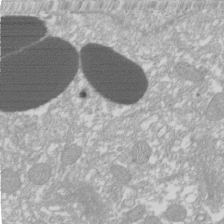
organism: Xenopus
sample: Cilia; centrioles in frog embryo cells